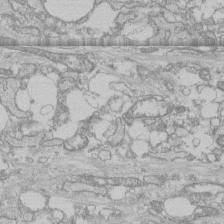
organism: Human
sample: CRL-1474